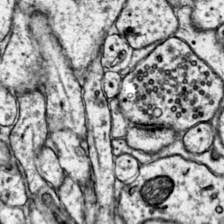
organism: Mouse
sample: Primary visual cortex